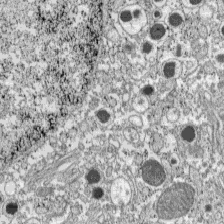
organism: C57BL Mouse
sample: Pancreatic islet